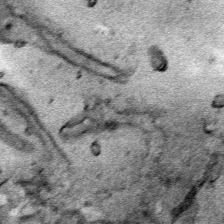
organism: Human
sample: Mitochondria in HCT116 cells